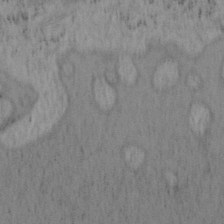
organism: Mouse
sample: OT-I killer T cells with ID8 ovarian cancer cells